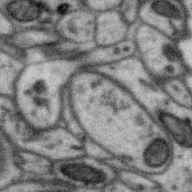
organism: Zebra finch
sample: Brain